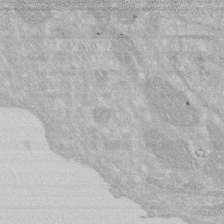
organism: Human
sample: HIV infected U937 cells